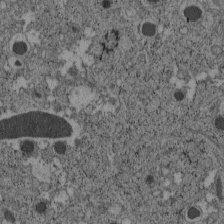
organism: C57BL Mouse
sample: Pancreatic islet